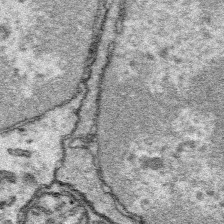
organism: Platynereis dumerilii